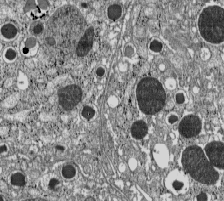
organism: C57BL Mouse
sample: Pancreatic islet